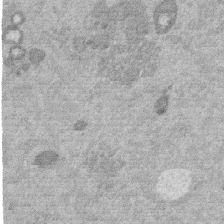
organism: Mouse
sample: Dividing mouse embryo 1 cell stage